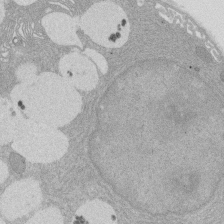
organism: Rat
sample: Salivary granule